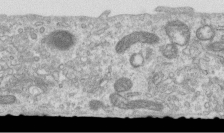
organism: Human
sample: Centriole in RPE cells